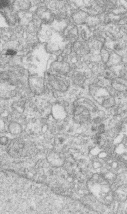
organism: Human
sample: HeLa cell HIV synapse